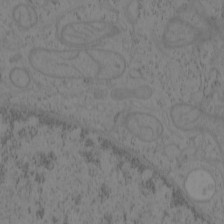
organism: Human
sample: HeLa cells